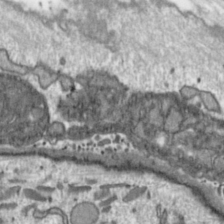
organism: Toxoplasma gondii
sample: Parasites in a vacuole inside a host cell